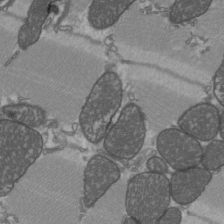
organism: C57BL Mouse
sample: Heart